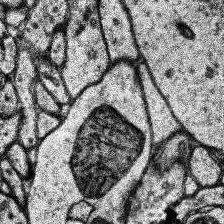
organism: Human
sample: Temporal Lobe